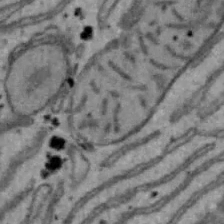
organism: Mouse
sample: Liver